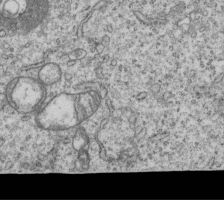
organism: Human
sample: MDA-MB-231 cells